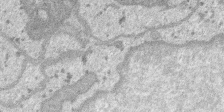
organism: Human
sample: Lung epithelial cells infected with SARS-CoV-2